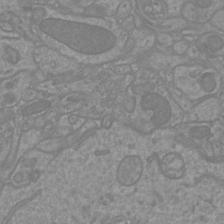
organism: Mouse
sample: Cortical neurons